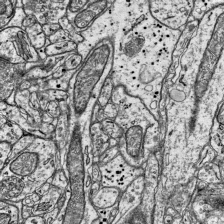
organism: Mouse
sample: Visual Cortex